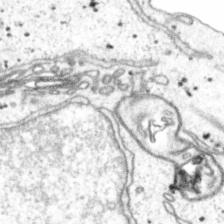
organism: Human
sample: HeLa cells